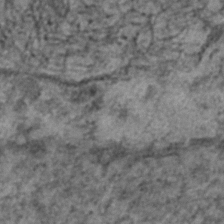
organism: C. elegans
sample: C. elegans embryo